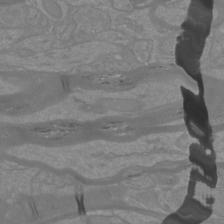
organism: Mouse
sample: Cortical neurons